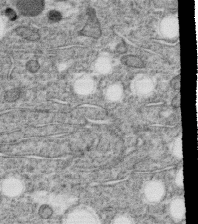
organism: C. elegans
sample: C. elegans oocyte; sperm cells